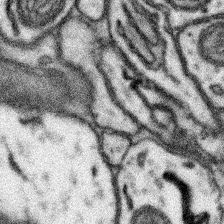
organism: Mouse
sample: Somatosensory cortex neuropil